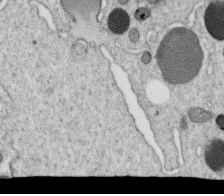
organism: C. elegans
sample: C. elegans oocyte; sperm cells